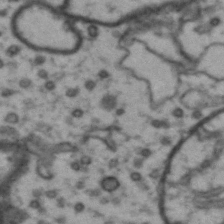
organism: Drosophila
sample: Brain